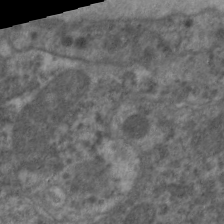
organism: C. elegans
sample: Pharynx